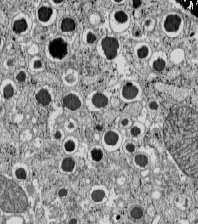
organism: C57BL Mouse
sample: Pancreatic islet